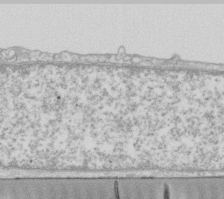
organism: Human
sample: Fibroblast cells